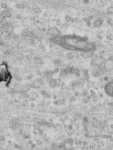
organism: Human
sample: Centriole in RPE cells